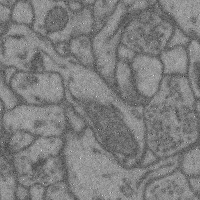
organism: Mouse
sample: Cerebral cortex